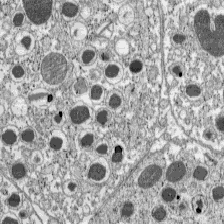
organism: C57BL Mouse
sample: Pancreatic islet